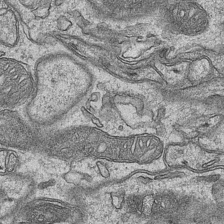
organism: Mouse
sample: CA1 Hippocampus